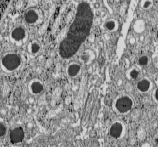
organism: C57BL Mouse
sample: Pancreatic islet